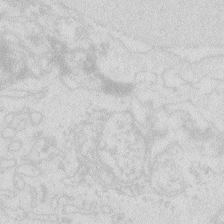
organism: Zebrafish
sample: Macrophage